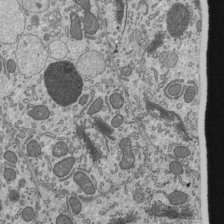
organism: Mouse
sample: Mouse epididymis efferent ductule cilia